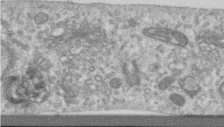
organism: Human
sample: Centriole in RPE cells